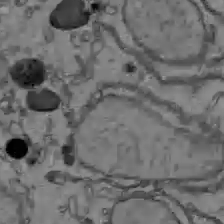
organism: C57BL Mouse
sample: Liver